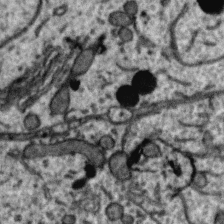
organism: Zebra finch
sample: Brain